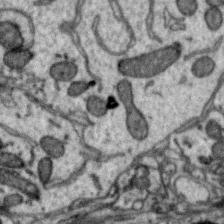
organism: Zebra finch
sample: Brain